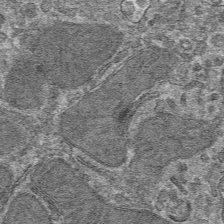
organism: Mouse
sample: Mouse hepatocytes